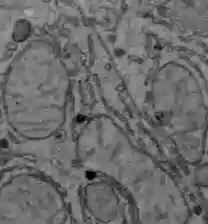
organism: C57BL Mouse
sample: Liver